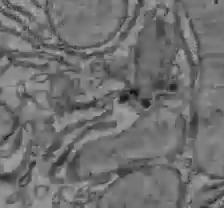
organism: C57BL Mouse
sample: Liver